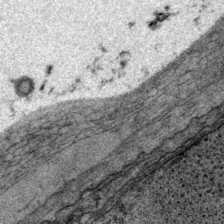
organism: P. pacificus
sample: Pharynx